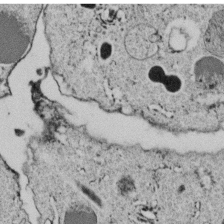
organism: C. elegans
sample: C. elegans embryo early stage